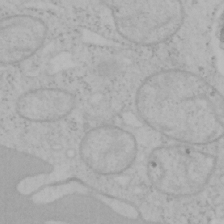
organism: Mouse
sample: OT-I killer T cells with ID8 ovarian cancer cells